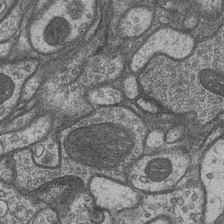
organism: Drosophila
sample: Optic medulla